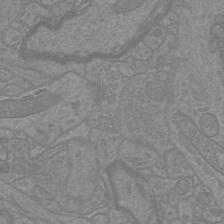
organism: Mouse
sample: Cortical neurons